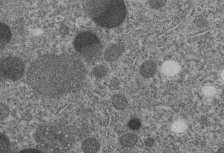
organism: C. elegans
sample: C. elegans embryo early stage